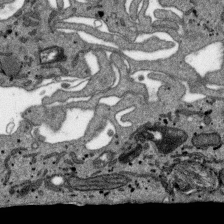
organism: Human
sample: Lung epithelial cells, uninfected (mock) control